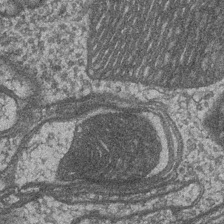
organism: Drosophila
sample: Optic medulla